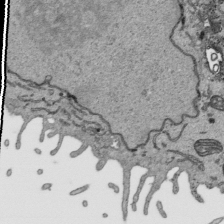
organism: Human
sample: Mitochondria in HCT116 cells